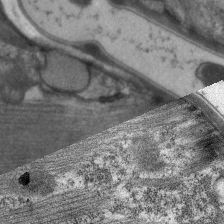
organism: C. elegans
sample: Pharynx